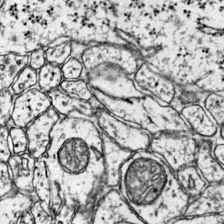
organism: Mouse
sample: Primary visual cortex